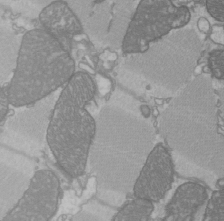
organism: C57BL Mouse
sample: Heart